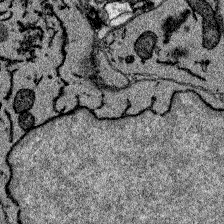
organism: Zebrafish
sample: Larval olfactory bulb